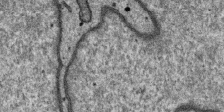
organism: Human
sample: Lung epithelial cells, uninfected (mock) control